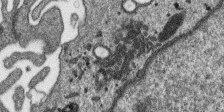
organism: Human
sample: Lung epithelial cells infected with SARS-CoV-2